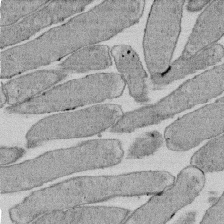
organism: E. coli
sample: Bacterial nucleoid